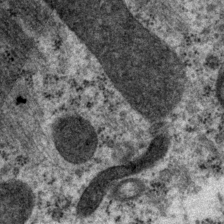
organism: P. pacificus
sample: Pharynx